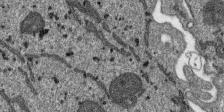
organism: Human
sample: Lung epithelial cells infected with SARS-CoV-2